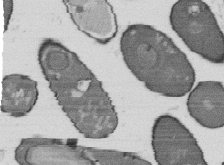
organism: B. subtilis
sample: Bacterial spore